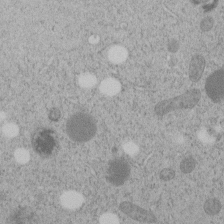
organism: C. elegans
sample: C. elegans embryo early stage